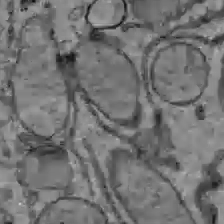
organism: C57BL Mouse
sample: Liver